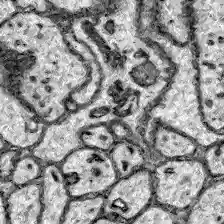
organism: Zebrafish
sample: Brain